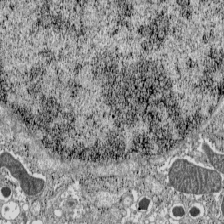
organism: C57BL Mouse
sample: Pancreatic islet